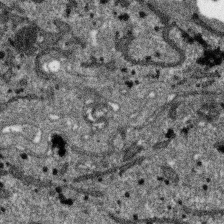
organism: Human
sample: Lung epithelial cells infected with SARS-CoV-2